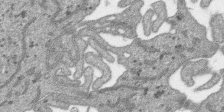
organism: Human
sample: Lung epithelial cells infected with SARS-CoV-2